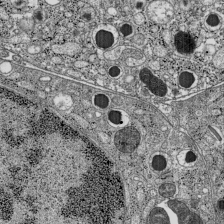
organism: C57BL Mouse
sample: Pancreatic islet